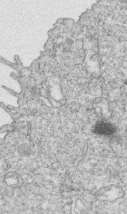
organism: Human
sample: HeLa cell HIV synapse